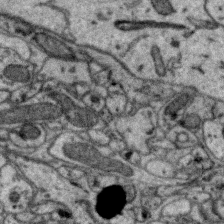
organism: Zebra finch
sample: Brain